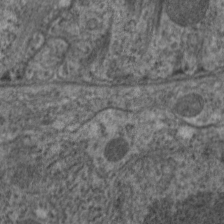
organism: C. elegans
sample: Pharynx